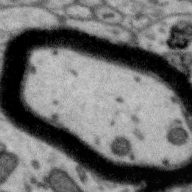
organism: Zebra finch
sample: Brain